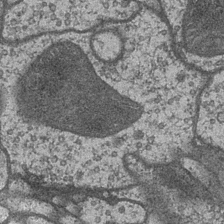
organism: Drosophila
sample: Optic medulla